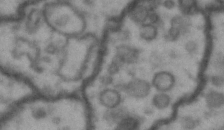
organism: Drosophila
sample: Brain